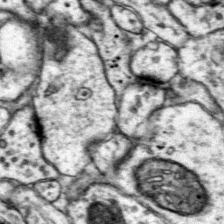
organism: Mouse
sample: Primary visual cortex